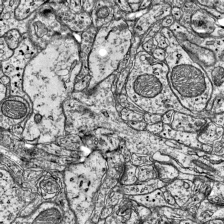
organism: Mouse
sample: Visual Cortex